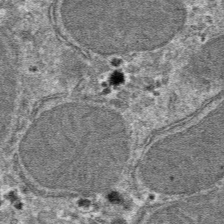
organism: Mouse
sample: Mouse hepatocytes